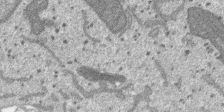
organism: Human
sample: Lung epithelial cells infected with SARS-CoV-2